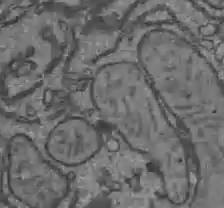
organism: C57BL Mouse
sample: Liver